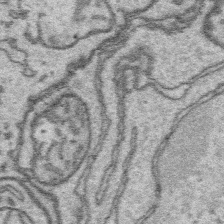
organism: Platynereis dumerilii